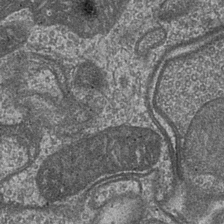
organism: Drosophila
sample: Optic medulla